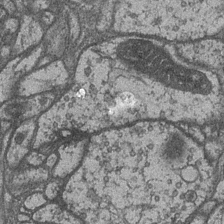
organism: Drosophila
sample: Optic medulla